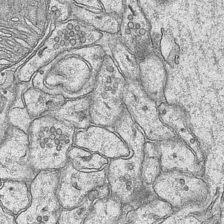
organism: Mouse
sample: CA1 Hippocampus